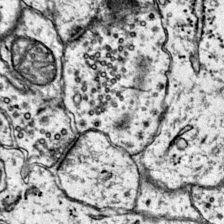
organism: Mouse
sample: Primary visual cortex